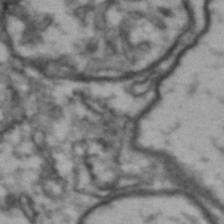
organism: Drosophila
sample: Brain